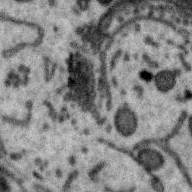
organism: Zebra finch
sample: Brain